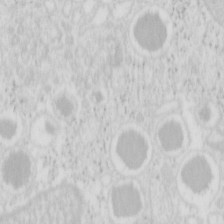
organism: Mouse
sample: Pancreas